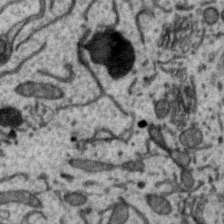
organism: Zebra finch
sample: Brain